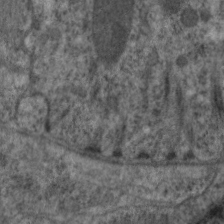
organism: C. elegans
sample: Pharynx